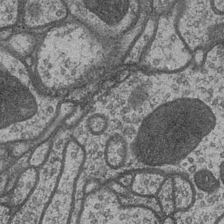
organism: Drosophila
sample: Optic medulla